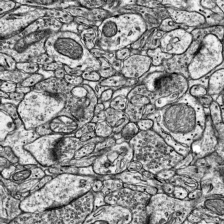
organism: Mouse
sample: Visual Cortex